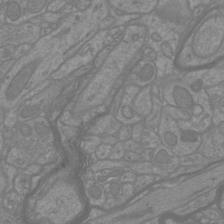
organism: Mouse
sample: Cortical neurons